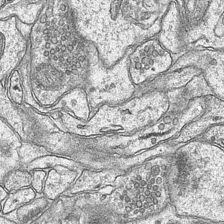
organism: Mouse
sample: CA1 Hippocampus